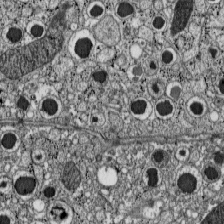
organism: C57BL Mouse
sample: Pancreatic islet